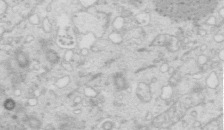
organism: Mouse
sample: Multiciliated cells